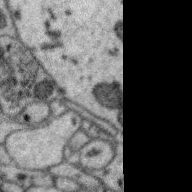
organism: Zebra finch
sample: Brain